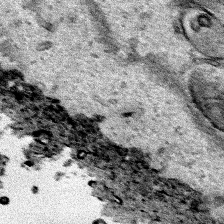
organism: Human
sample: Mitochondria in HCT116 cells